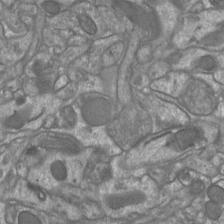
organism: Mouse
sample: Cortical neurons